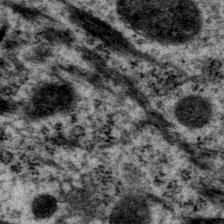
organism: P. pacificus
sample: Pharynx